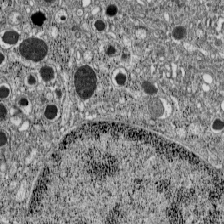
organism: C57BL Mouse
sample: Pancreatic islet